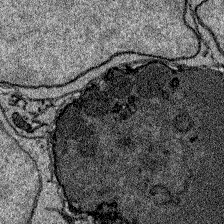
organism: Zebrafish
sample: Larval olfactory bulb